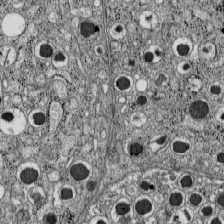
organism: C57BL Mouse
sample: Pancreatic islet